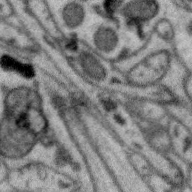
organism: Zebra finch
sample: Brain